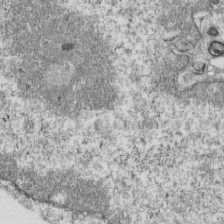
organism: Mouse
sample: Activated OT-1 CD8+ T cells